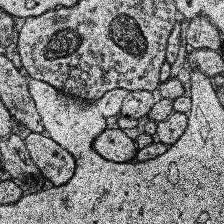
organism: Human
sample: Temporal Lobe